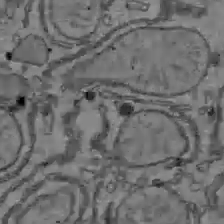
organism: C57BL Mouse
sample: Liver